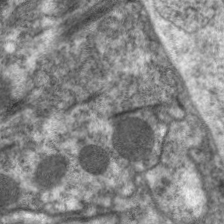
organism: C. elegans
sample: Pharynx